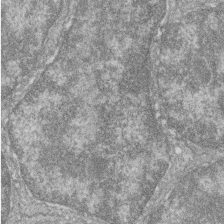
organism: Zebrafish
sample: Cilia; retinal pigment epithelium